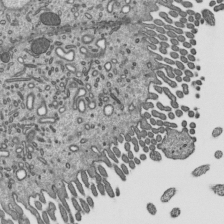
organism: Mouse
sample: Mouse epididymis efferent ductule cilia